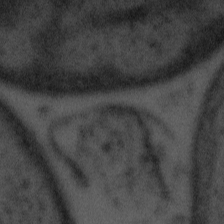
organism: Tuwongella immobilis